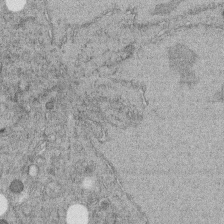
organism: C. elegans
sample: C. elegans embryo early stage